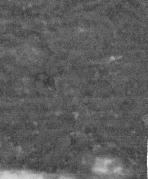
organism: Human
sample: Fibroblast cells